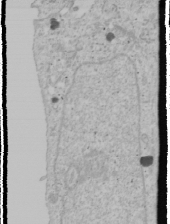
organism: Human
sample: Mitochondria in U2OS cells